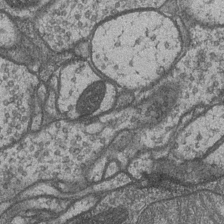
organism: Drosophila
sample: Optic medulla